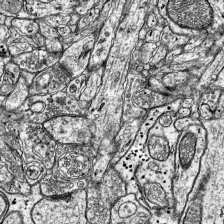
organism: Mouse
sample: Visual Cortex